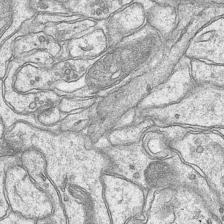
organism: Mouse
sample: CA1 Hippocampus